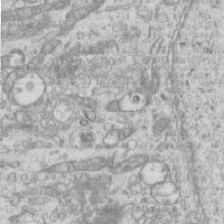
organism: Mouse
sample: Centriole in ependymal cells